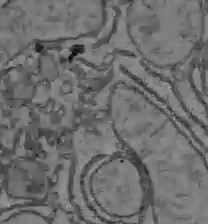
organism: C57BL Mouse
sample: Liver